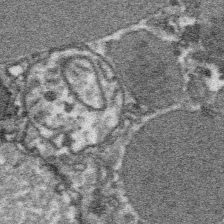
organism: Platynereis dumerilii